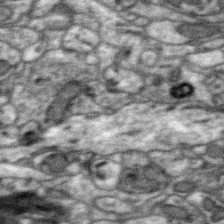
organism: Zebra finch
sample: Brain